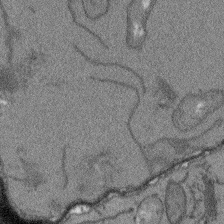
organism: Arabidopsis thaliana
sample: Root tip